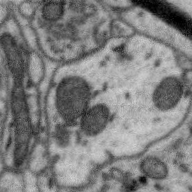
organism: Zebra finch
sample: Brain